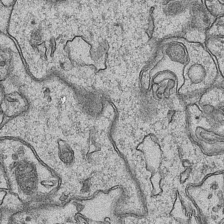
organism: Mouse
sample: CA1 Hippocampus